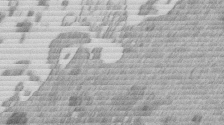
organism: Mouse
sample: Dividing mouse embryo 1 cell stage